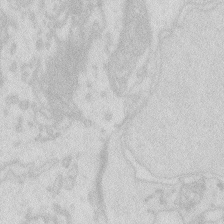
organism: Zebrafish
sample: Macrophage